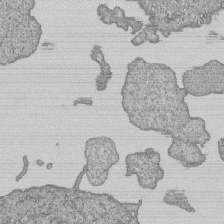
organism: Human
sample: MDA-MB-231 cells